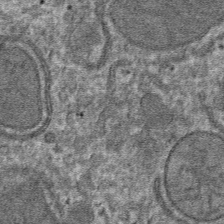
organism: Mouse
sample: Mouse hepatocytes